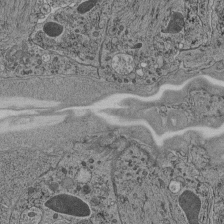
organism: C. elegans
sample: C. elegans pharynx